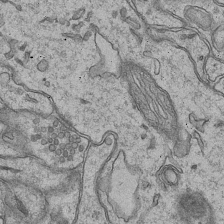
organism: Mouse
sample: CA1 Hippocampus